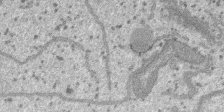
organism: Human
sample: Lung epithelial cells infected with SARS-CoV-2